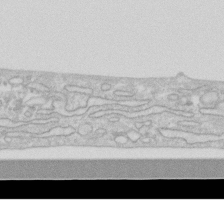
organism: Human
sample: Fibroblast cells